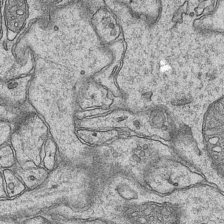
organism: Mouse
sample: CA1 Hippocampus